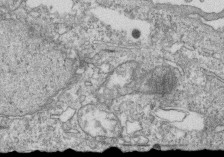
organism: Human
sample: HeLa cell HIV synapse